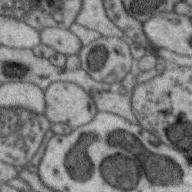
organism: Zebra finch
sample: Brain